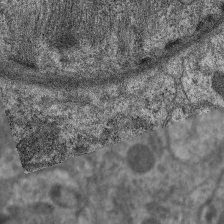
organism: C. elegans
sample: Pharynx